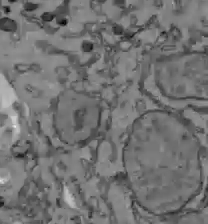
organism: C57BL Mouse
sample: Liver